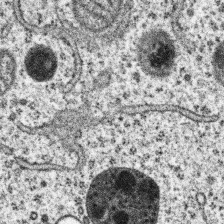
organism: Human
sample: HeLa cells